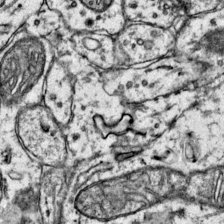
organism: Mouse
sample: Primary visual cortex